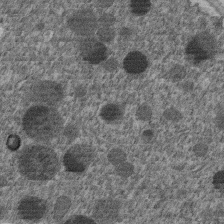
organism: C. elegans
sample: C. elegans embryo early stage